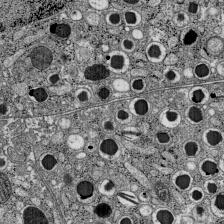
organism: C57BL Mouse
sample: Pancreatic islet